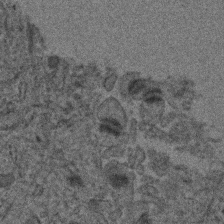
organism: Human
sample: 1205lu cells